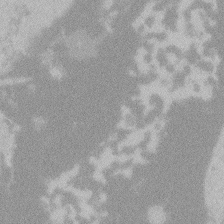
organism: Zebrafish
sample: Macrophage infected with Toxoplasma gondii